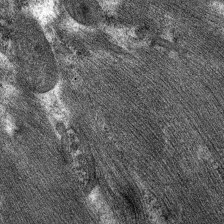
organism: C. elegans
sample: Pharynx